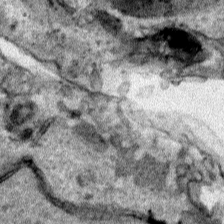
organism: Human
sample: Mitochondria in HCT116 cells